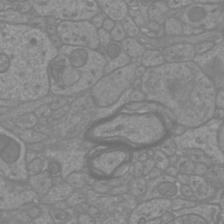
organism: Mouse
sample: Cortical neurons